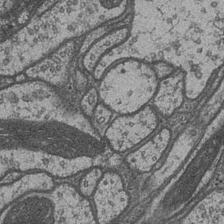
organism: Drosophila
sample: Optic medulla